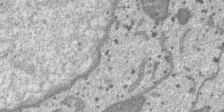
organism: Human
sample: Lung epithelial cells infected with SARS-CoV-2